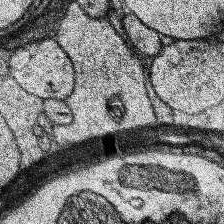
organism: Human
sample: Temporal Lobe